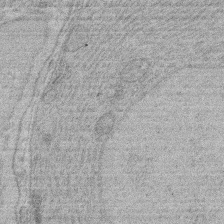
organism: Rat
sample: Salivary granule